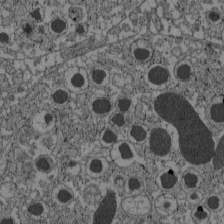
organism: C57BL Mouse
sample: Pancreatic islet